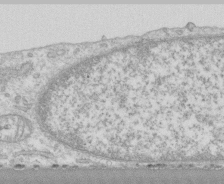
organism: Human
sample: CRL-1474